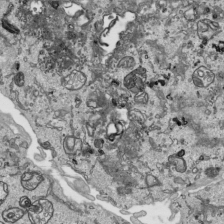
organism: Human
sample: Mitochondria in HCT116 cells